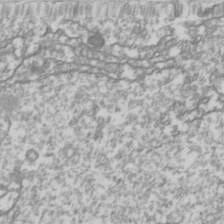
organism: Drosophila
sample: Cell division; meiosis; drosophila spermatocytes